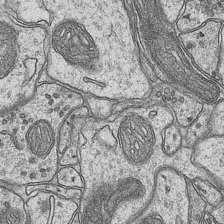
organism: Mouse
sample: CA1 Hippocampus